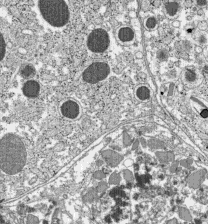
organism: C57BL Mouse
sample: Pancreatic islet